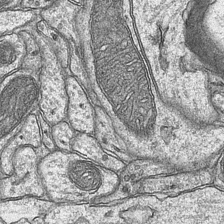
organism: Mouse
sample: CA1 Hippocampus